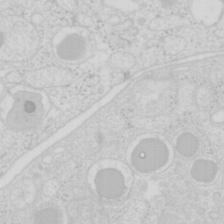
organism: Mouse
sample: Pancreas